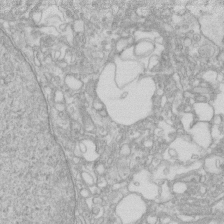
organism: Human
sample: Fibroblast cells